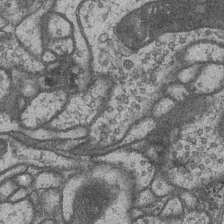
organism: Drosophila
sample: Optic medulla